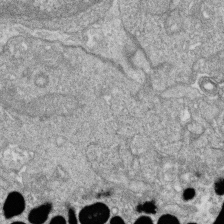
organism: Zebrafish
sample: Cilia; retinal pigment epithelium